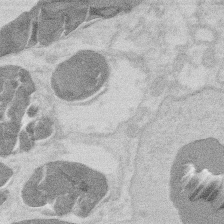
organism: Mouse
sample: T cell stromal cell synapse